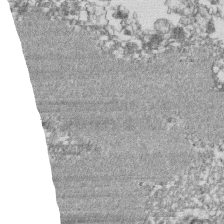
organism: Human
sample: HeLa cell HIV synapse